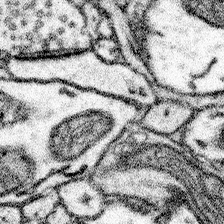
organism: Mouse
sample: Somatosensory cortex neuropil